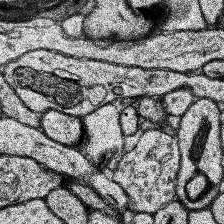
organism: Human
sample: Temporal Lobe